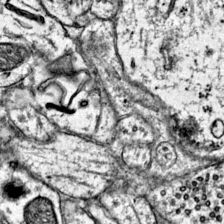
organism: Mouse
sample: Primary visual cortex